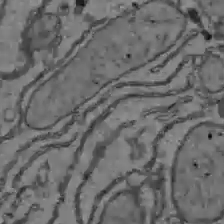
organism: C57BL Mouse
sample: Liver